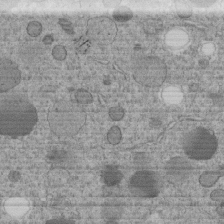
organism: C. elegans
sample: C. elegans embryo early stage